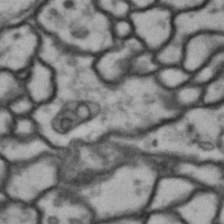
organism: Drosophila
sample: Brain